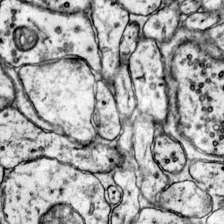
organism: Mouse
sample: Primary visual cortex